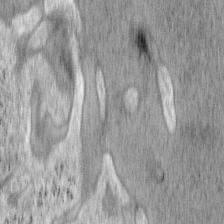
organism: Human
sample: HeLa cells